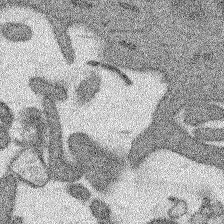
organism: Human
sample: HeLa cells